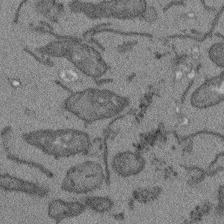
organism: Arabidopsis thaliana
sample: Root tip